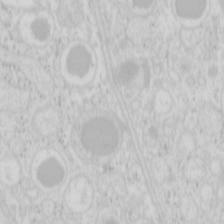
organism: Mouse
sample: Pancreas